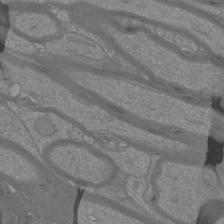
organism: Mouse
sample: Cortical neurons